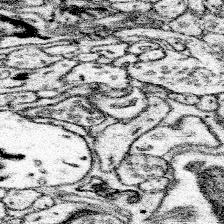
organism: Mouse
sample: Somatosensory cortex neuropil